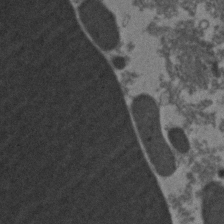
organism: Zebrafish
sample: Zebrafish embryo